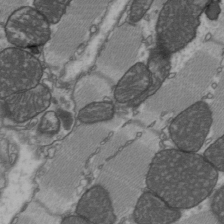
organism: C57BL Mouse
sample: Heart